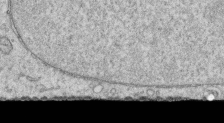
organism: Human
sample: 1205lu cells